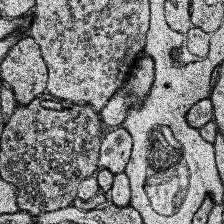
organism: Human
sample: Temporal Lobe